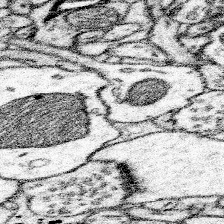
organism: Mouse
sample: Somatosensory cortex neuropil